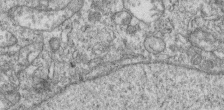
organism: Human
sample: HeLa cell HIV synapse